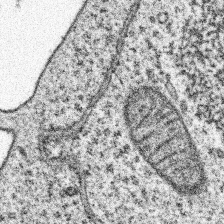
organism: Human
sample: HeLa cells